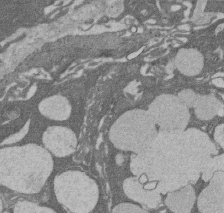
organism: Rat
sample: Salivary granule